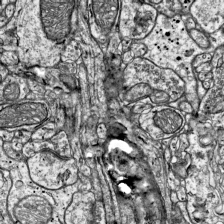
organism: Mouse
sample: Visual Cortex